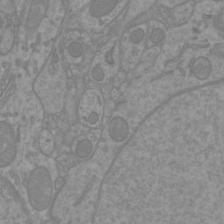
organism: Mouse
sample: Cortical neurons